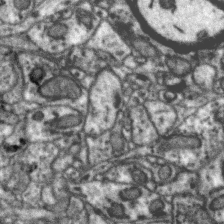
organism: Zebra finch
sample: Brain